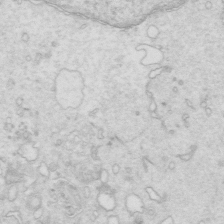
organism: Mouse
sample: Multiciliated cells